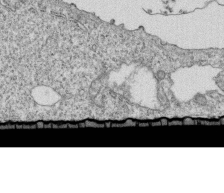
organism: Human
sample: HeLa cell HIV synapse